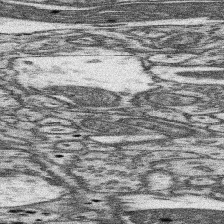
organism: Mouse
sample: Somatosensory cortex neuropil